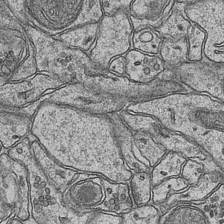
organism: Mouse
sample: CA1 Hippocampus